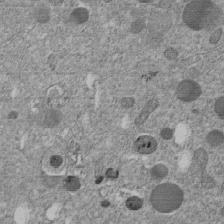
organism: C. elegans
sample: C. elegans embryo early stage